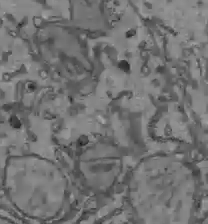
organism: C57BL Mouse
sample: Liver